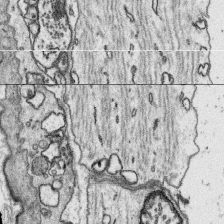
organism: Platynereis dumerilii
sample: Parapodia